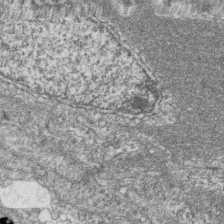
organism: Zebrafish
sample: Cilia; retinal pigment epithelium